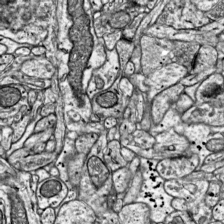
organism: Mouse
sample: Visual Cortex